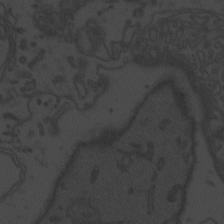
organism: Zebrafish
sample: Macrophage infected with Toxoplasma gondii